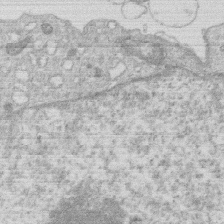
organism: Human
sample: Macrophage cells